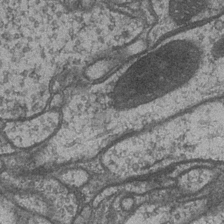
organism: Drosophila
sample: Optic medulla